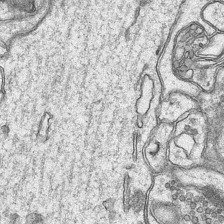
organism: Mouse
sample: CA1 Hippocampus